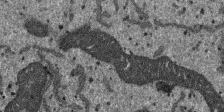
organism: Human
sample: Lung epithelial cells infected with SARS-CoV-2